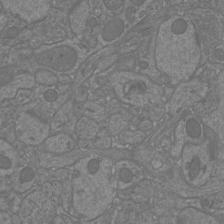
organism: Mouse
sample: Cortical neurons